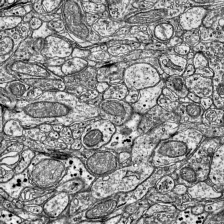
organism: Mouse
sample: Visual Cortex